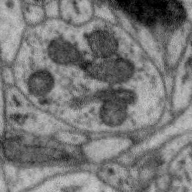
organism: Zebra finch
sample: Brain